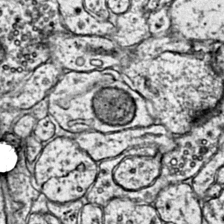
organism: Mouse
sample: Primary visual cortex